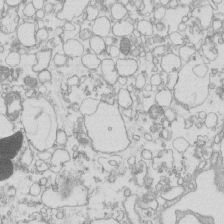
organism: Mouse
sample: Macrophages